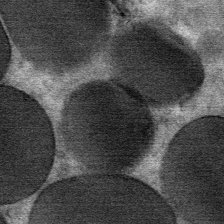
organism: Mouse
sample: Mouse Salivary gland